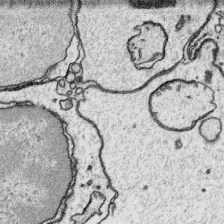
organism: Platynereis dumerilii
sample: Parapodia